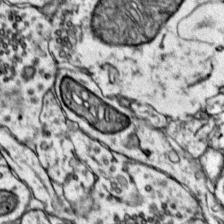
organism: Mouse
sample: Primary visual cortex